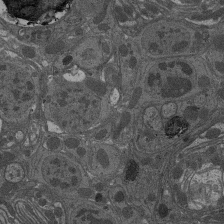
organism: Drosophila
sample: Antenna